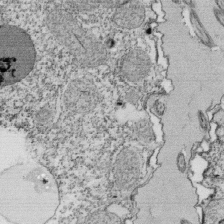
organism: Tetrahymena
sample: Cilia in tetrahymena